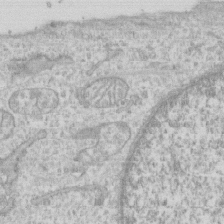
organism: Human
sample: CRL-1474